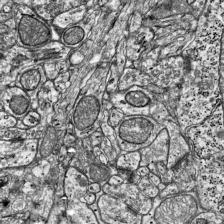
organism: Mouse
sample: Visual Cortex